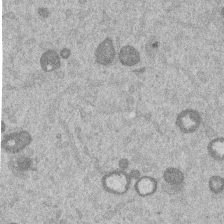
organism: Mouse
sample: Dividing mouse embryo 1 cell stage